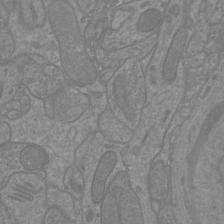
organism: Mouse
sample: Cortical neurons